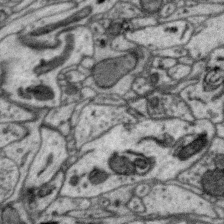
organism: Zebra finch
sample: Brain